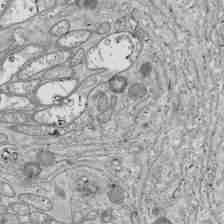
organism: Drosophila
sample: Cell division; meiosis; drosophila spermatocytes